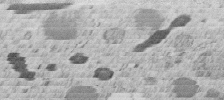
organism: C. elegans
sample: C. elegans embryo early stage